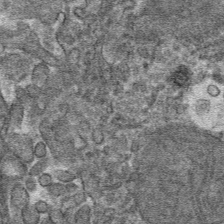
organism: Mouse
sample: Mouse hepatocytes